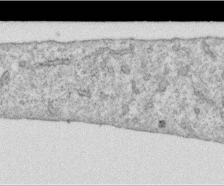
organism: Human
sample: Centriole in RPE cells